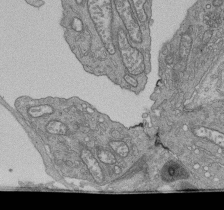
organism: Human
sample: Retinal organoid Rod and Cone cells